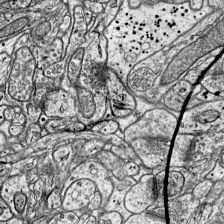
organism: Mouse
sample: Visual Cortex